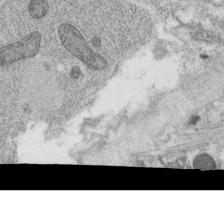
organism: C. elegans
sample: C. elegans oocyte; sperm cells